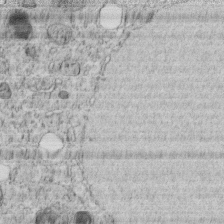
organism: C. elegans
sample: C. elegans embryo early stage